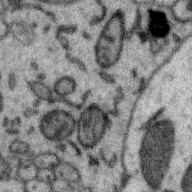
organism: Zebra finch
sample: Brain